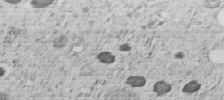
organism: C. elegans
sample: C. elegans embryo early stage